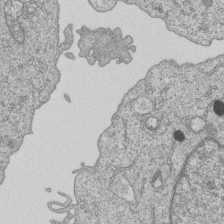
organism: Human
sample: MDA-MB-231 cells